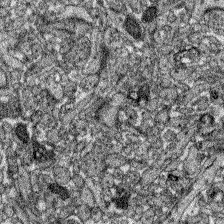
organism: Zebrafish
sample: Larval olfactory bulb